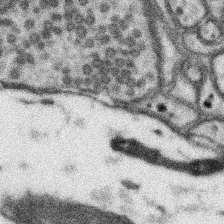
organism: Mouse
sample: Somatosensory cortex neuropil